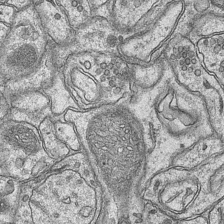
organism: Mouse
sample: CA1 Hippocampus